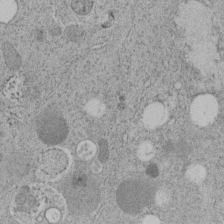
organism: C. elegans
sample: C. elegans embryo early stage